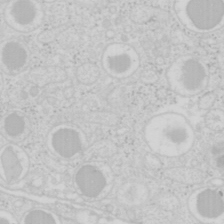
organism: Mouse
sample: Pancreas